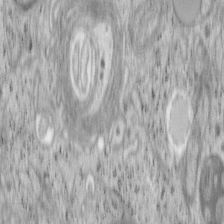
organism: Human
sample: HeLa cells